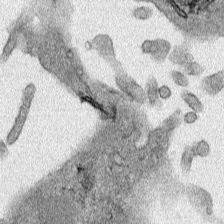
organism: Human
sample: Mitochondria in HCT116 cells